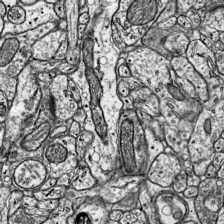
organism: Mouse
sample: Visual Cortex